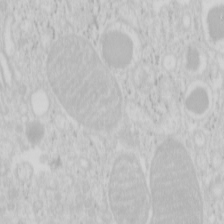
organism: Mouse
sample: Pancreas